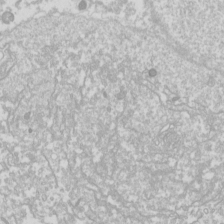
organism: Drosophila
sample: Cell division; meiosis; drosophila spermatocytes